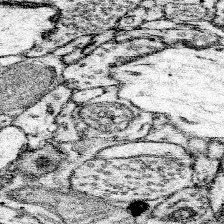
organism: Mouse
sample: Somatosensory cortex neuropil